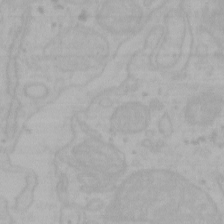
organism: Mouse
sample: Choroid plexus